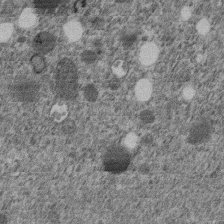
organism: C. elegans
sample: C. elegans embryo early stage